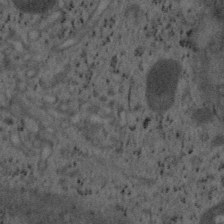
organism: Human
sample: HeLa cells